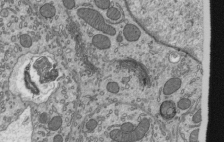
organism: Mouse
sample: Mouse epididymis efferent ductule cilia